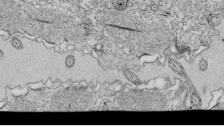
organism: Tetrahymena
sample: Cilia in tetrahymena